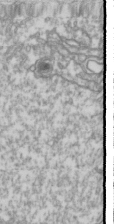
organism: Drosophila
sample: Cell division; meiosis; drosophila spermatocytes